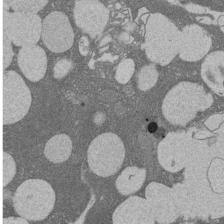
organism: Rat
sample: Salivary granule